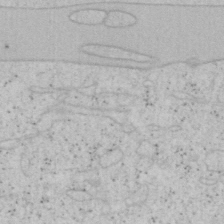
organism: Human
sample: HeLa cells